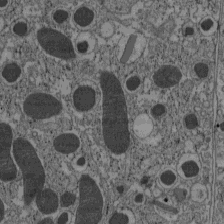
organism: C57BL Mouse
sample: Pancreatic islet